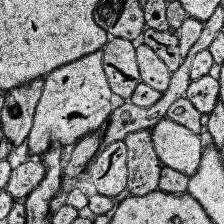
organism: Human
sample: Temporal Lobe